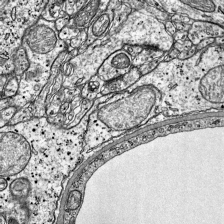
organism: Mouse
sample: Visual Cortex